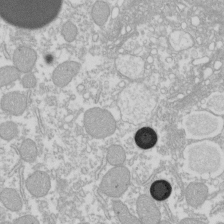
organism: Xenopus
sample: Cilia; centrioles in frog embryo cells